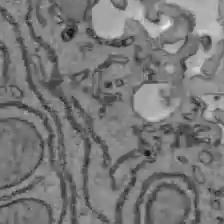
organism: C57BL Mouse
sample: Liver